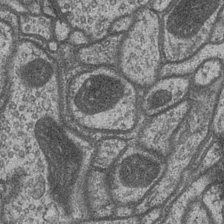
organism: Drosophila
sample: Optic medulla